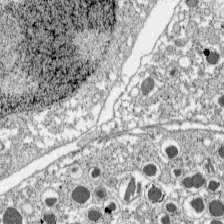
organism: C57BL Mouse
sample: Pancreatic islet